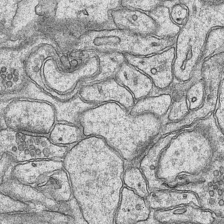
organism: Mouse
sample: CA1 Hippocampus